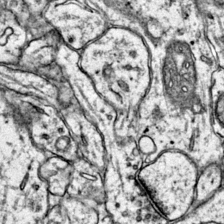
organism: Mouse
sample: Primary visual cortex